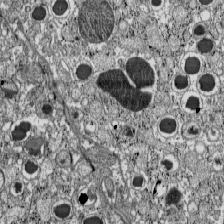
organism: C57BL Mouse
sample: Pancreatic islet